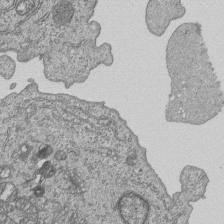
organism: Human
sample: MDA-MB-231 cells